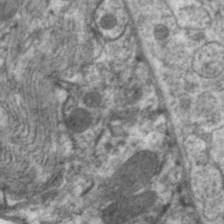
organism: C. elegans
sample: Pharynx